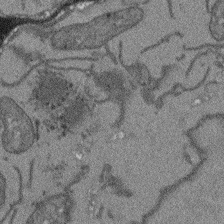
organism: Arabidopsis thaliana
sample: Root tip